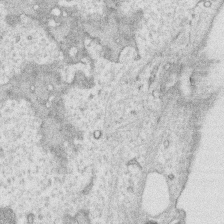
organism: Human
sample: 1205lu cells